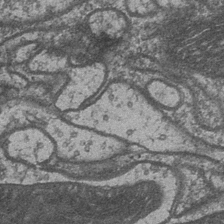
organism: Drosophila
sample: Optic medulla